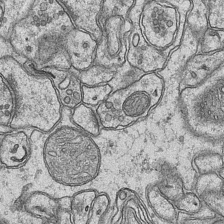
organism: Mouse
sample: CA1 Hippocampus